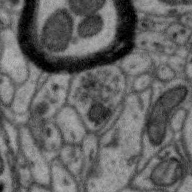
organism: Zebra finch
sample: Brain